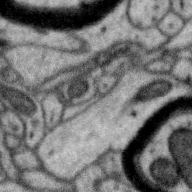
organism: Zebra finch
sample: Brain